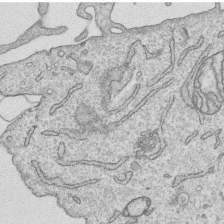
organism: Human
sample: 1205lu cells